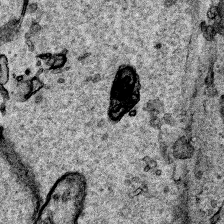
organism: Human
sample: Mitochondria in HCT116 cells